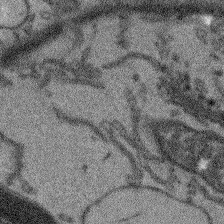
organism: Arabidopsis thaliana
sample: Root tip